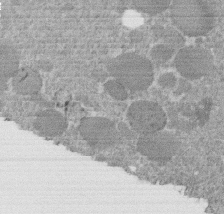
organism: C. elegans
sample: C. elegans embryo early stage